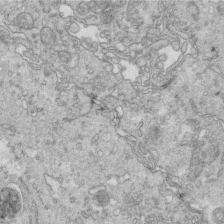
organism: Mouse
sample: Multiciliated cells